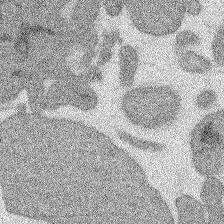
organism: Human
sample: HeLa cells